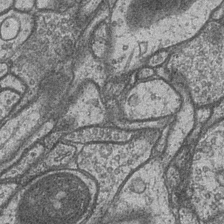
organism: Drosophila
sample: Optic medulla